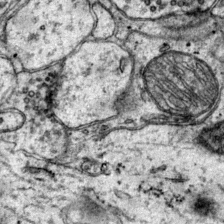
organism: Mouse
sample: Primary visual cortex